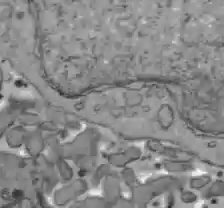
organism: C57BL Mouse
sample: Liver